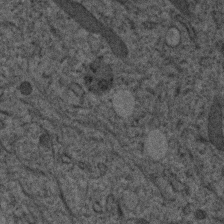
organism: Human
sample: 1205lu cells